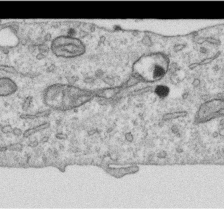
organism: Human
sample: Centriole in RPE cells